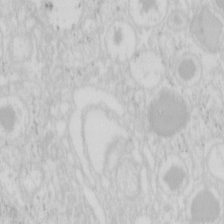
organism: Mouse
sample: Pancreas